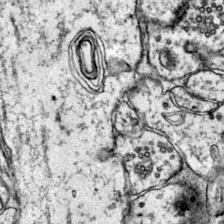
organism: Mouse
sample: Primary visual cortex